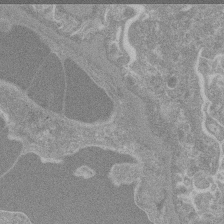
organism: Mouse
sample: Glomerulus